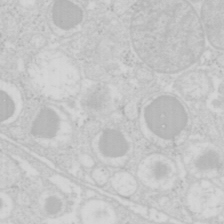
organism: Mouse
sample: Pancreas